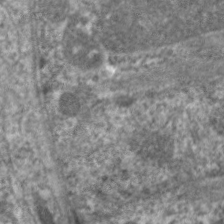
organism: C. elegans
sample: Pharynx